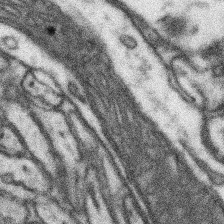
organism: Mouse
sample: Somatosensory cortex neuropil